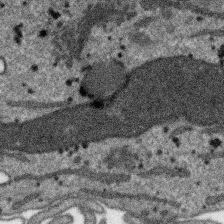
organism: Human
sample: Lung epithelial cells infected with SARS-CoV-2